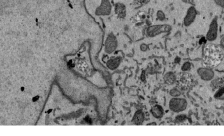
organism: Mouse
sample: ED-1 cell nuclei; centrioles